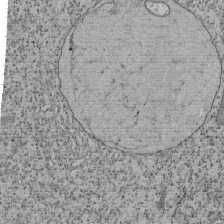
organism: Tetrahymena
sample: Cilia in tetrahymena